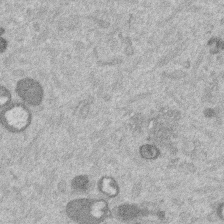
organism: Mouse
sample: Dividing mouse embryo 1 cell stage